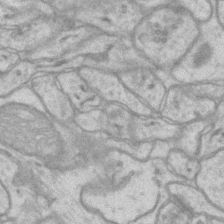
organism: Mouse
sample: CA1 Hippocampus